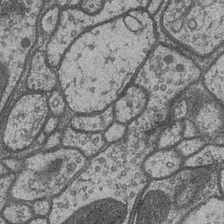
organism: Drosophila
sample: Optic medulla